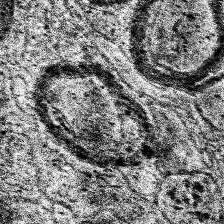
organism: Human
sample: Temporal Lobe